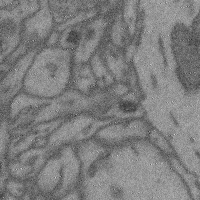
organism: Mouse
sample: Cerebral cortex